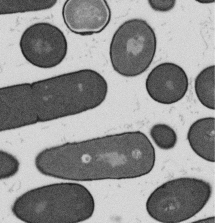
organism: B. subtilis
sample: Bacterial spore